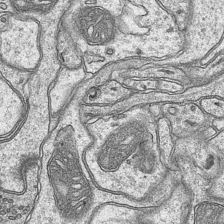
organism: Mouse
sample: CA1 Hippocampus